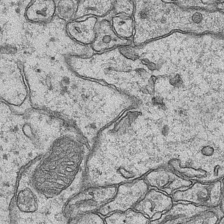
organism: Mouse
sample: CA1 Hippocampus